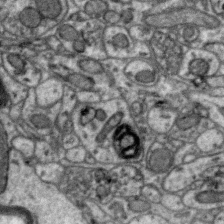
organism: Zebra finch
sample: Brain